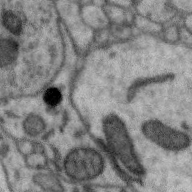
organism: Zebra finch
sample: Brain